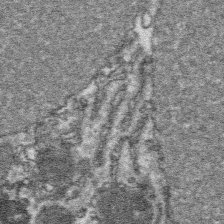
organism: Platynereis dumerilii